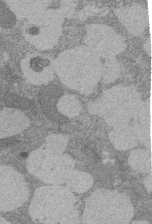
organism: Rat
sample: Salivary granule